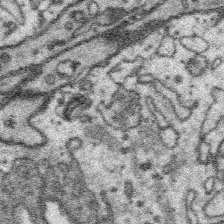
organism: Platynereis dumerilii